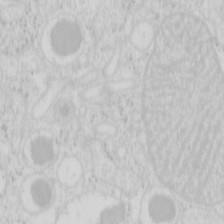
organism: Mouse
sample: Pancreas